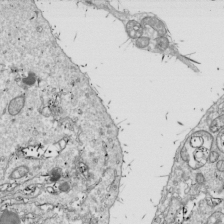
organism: Drosophila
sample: Cell division; meiosis; drosophila spermatocytes